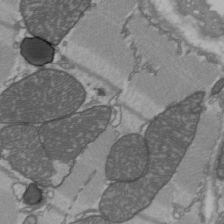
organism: C57BL Mouse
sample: Heart